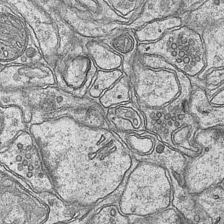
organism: Mouse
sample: CA1 Hippocampus